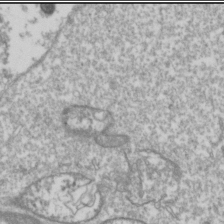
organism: Drosophila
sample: Cell division; meiosis; drosophila spermatocytes